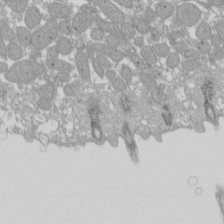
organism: Xenopus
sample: Cilia; centrioles in frog embryo cells